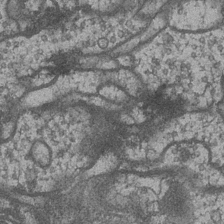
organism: Drosophila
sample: Optic medulla